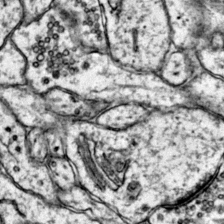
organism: Mouse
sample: Primary visual cortex